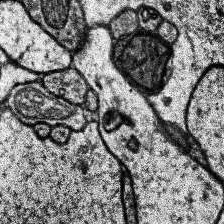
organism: Human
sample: Temporal Lobe